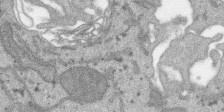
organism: Human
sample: Lung epithelial cells infected with SARS-CoV-2